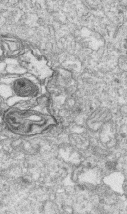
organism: Human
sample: HeLa cell HIV synapse